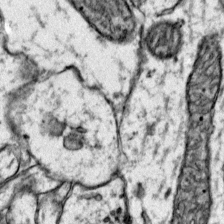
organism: Mouse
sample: Primary visual cortex